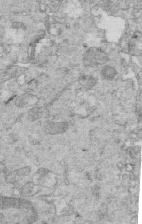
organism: Mouse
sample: Multiciliated cells